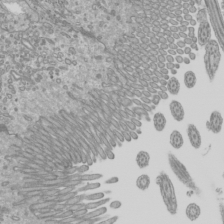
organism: Mouse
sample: Cilia; mouse epididymis